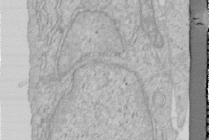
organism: Human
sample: Centriole in RPE cells